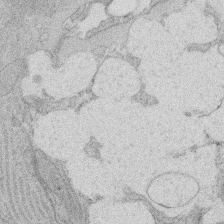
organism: Rat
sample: Salivary granule